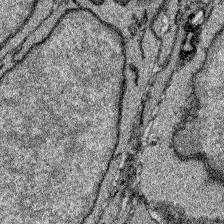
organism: Zebrafish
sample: Larval olfactory bulb